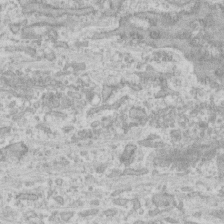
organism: Human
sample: CRL-1474